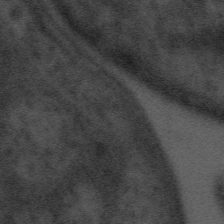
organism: Tuwongella immobilis